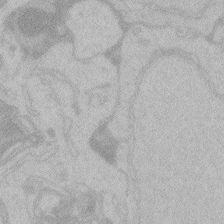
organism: Zebrafish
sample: Macrophage infected with Toxoplasma gondii